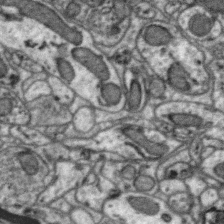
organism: Zebra finch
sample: Brain